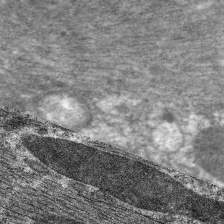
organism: C. elegans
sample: Pharynx